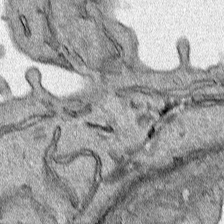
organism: Human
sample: Mitochondria in HCT116 cells